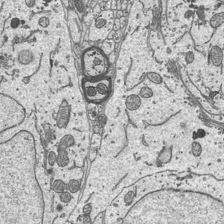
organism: Mouse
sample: Suprachiasmatic nucleus